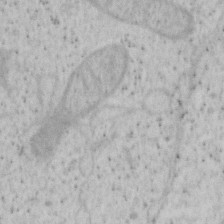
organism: Human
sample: HeLa cells